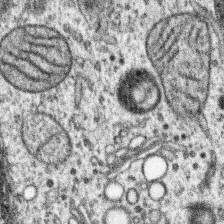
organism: Human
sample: HeLa cells